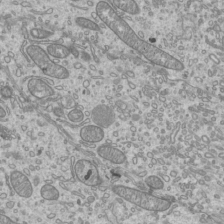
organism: Mouse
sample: Cilia; mouse epididymis